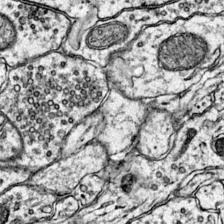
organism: Mouse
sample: Primary visual cortex